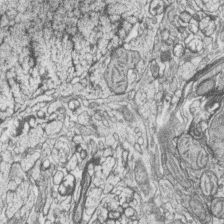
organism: Zebrafish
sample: synaptic ribbons in rod cells and cone cells